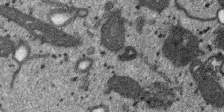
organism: Human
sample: Lung epithelial cells infected with SARS-CoV-2